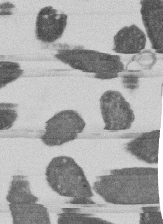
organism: E. coli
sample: Bacterial nucleoid